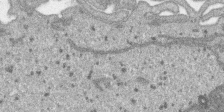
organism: Human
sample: Lung epithelial cells infected with SARS-CoV-2